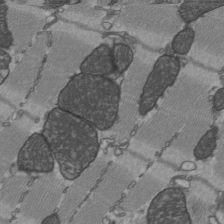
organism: C57BL Mouse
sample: Heart